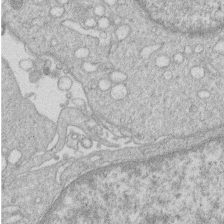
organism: Human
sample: Macrophage cells